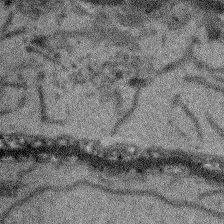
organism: Arabidopsis thaliana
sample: Root tip